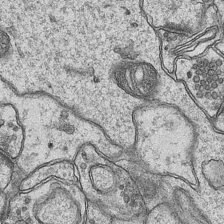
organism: Mouse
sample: CA1 Hippocampus